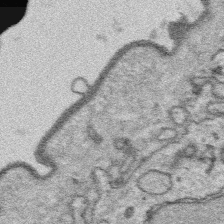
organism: Platynereis dumerilii